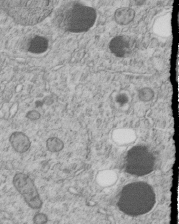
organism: C. elegans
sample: C. elegans embryo early stage